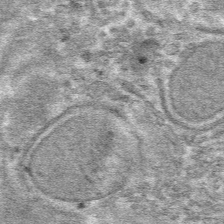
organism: Mouse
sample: Mouse hepatocytes